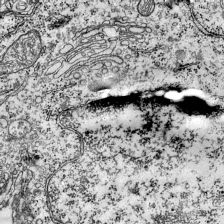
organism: Mouse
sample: Visual Cortex